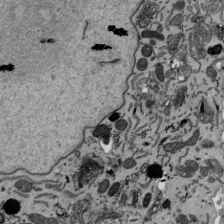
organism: Mouse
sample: ED-1 cell nuclei; centrioles